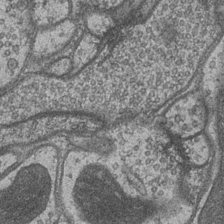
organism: Drosophila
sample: Optic medulla